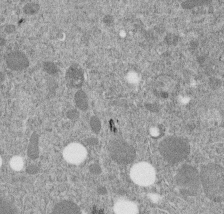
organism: C. elegans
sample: C. elegans embryo early stage